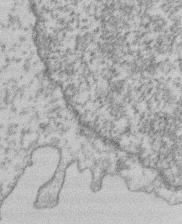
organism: Mouse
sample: T cell stromal cell synapse